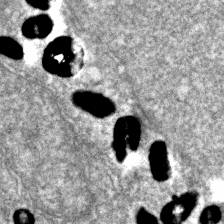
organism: Zebrafish